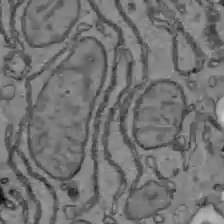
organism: C57BL Mouse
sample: Liver